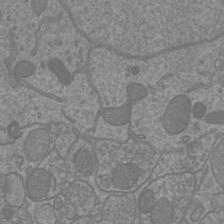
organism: Mouse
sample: Cortical neurons